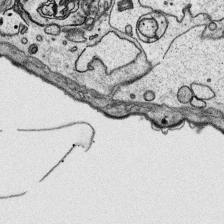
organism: Platynereis dumerilii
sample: Parapodia